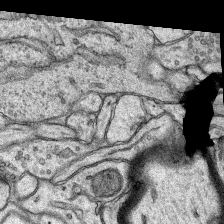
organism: Rat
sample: Hippocampus